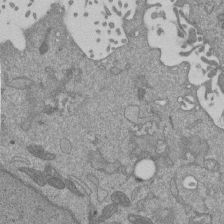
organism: Mouse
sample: ED-1 cell nuclei; centrioles